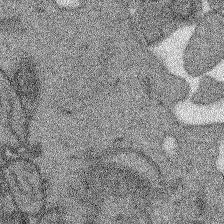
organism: Human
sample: HeLa cells